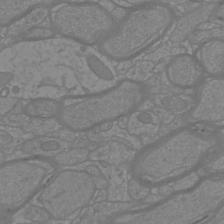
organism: Mouse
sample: Cortical neurons